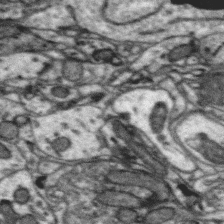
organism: Zebra finch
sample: Brain